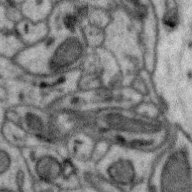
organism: Zebra finch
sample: Brain